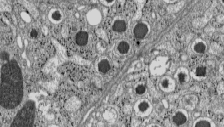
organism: C57BL Mouse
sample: Pancreatic islet